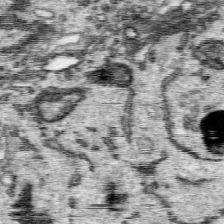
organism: Human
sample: HeLa cells